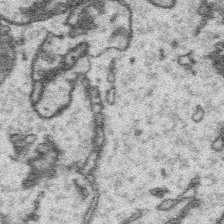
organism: Platynereis dumerilii